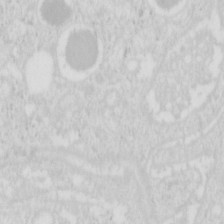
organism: Mouse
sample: Pancreas